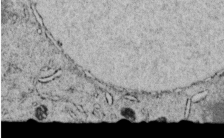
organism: C. elegans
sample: C. elegans embryo early stage